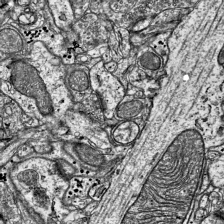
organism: Mouse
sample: Visual Cortex